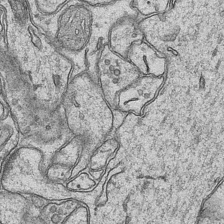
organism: Mouse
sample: CA1 Hippocampus